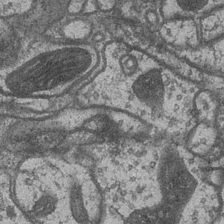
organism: Drosophila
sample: Optic medulla